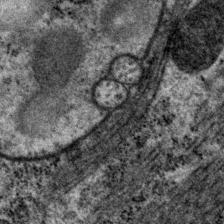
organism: P. pacificus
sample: Pharynx